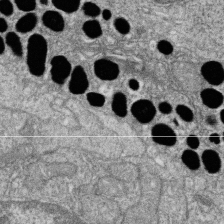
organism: Zebrafish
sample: Cilia; retinal pigment epithelium